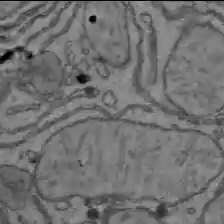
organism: C57BL Mouse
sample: Liver